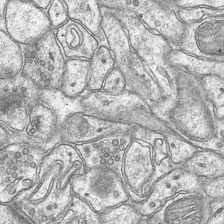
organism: Mouse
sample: CA1 Hippocampus